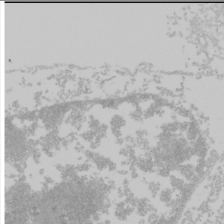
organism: Mouse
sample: Cancer cell death in ED-1 cells